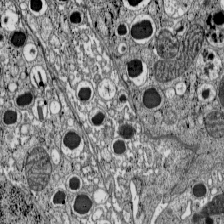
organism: C57BL Mouse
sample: Pancreatic islet